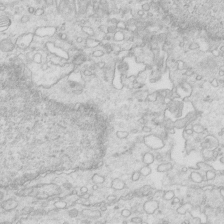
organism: Mouse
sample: Multiciliated cells